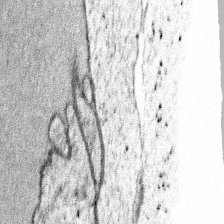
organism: Human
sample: HeLa cells